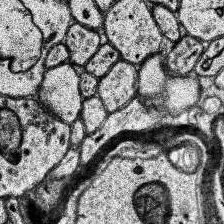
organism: Human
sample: Temporal Lobe